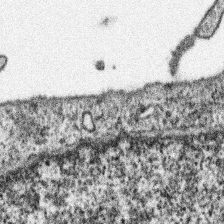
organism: Human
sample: HeLa cells